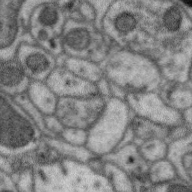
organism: Zebra finch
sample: Brain